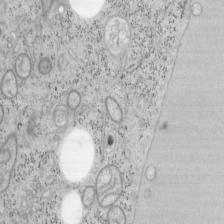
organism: Mouse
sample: OT-I killer T cells with ID8 ovarian cancer cells